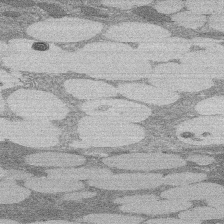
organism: Rat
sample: Salivary granule